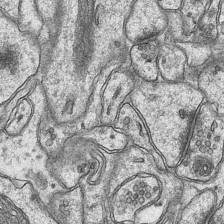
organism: Mouse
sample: CA1 Hippocampus